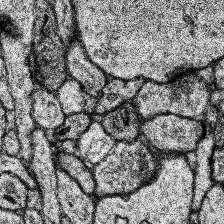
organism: Human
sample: Temporal Lobe